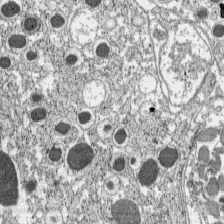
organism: C57BL Mouse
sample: Pancreatic islet